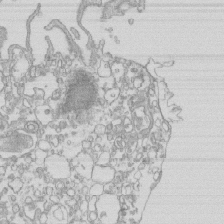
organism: Mouse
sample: Macrophages